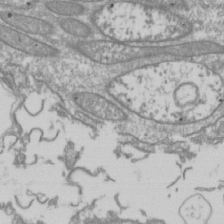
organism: Drosophila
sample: Cell division; meiosis; drosophila spermatocytes